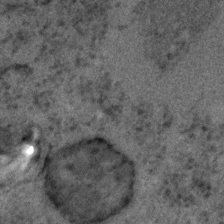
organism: C. elegans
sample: C. elegans embryo